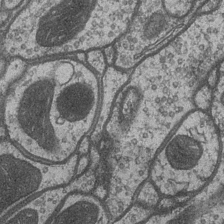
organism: Drosophila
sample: Optic medulla